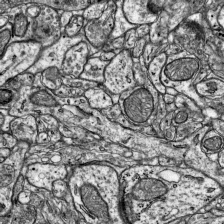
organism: Mouse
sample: Visual Cortex